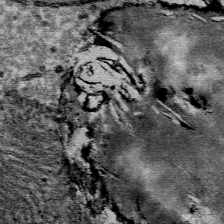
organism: Mouse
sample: Mouse Salivary gland